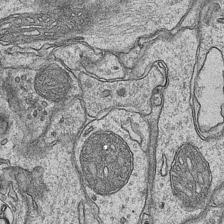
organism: Mouse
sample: CA1 Hippocampus